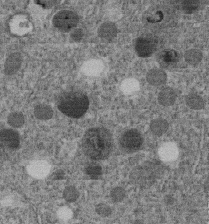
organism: C. elegans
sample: C. elegans embryo early stage